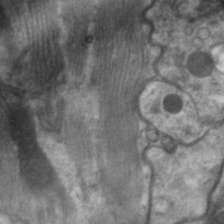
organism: C. elegans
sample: Pharynx